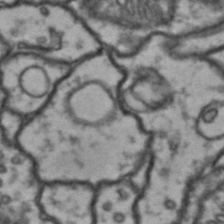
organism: Drosophila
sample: Brain